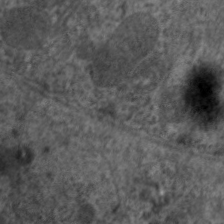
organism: C. elegans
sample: Pharynx